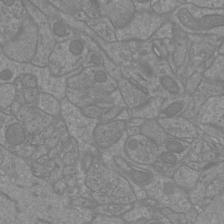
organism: Mouse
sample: Cortical neurons